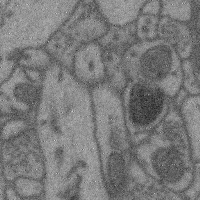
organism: Mouse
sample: Cerebral cortex